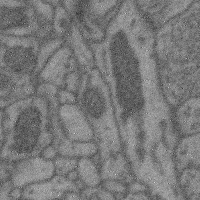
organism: Mouse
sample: Cerebral cortex